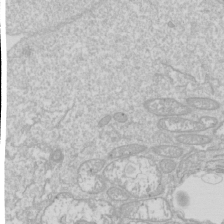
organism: Drosophila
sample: Cell division; meiosis; drosophila spermatocytes